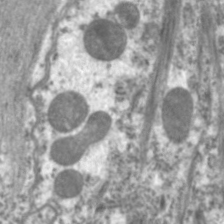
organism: C. elegans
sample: Pharynx